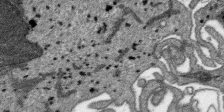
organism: Human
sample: Lung epithelial cells, uninfected (mock) control